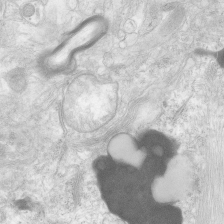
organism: Human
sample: Neocortex